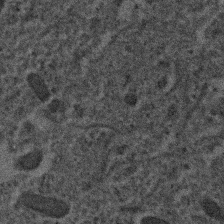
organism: Human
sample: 1205lu cells